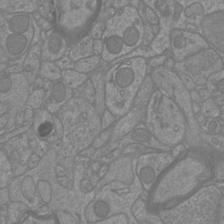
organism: Mouse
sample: Cortical neurons